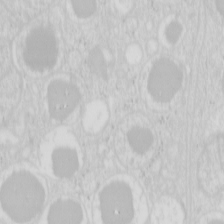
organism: Mouse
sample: Pancreas